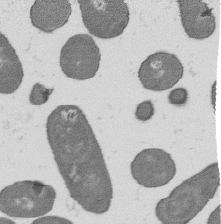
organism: B. subtilis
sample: Bacterial spore